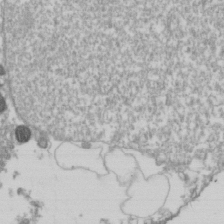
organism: Drosophila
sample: Cell division; meiosis; drosophila spermatocytes